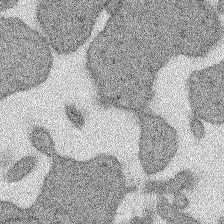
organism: Human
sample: HeLa cells